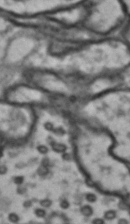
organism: Drosophila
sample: Brain